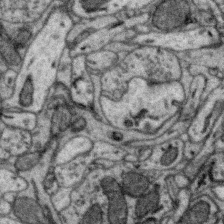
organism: Zebra finch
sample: Brain